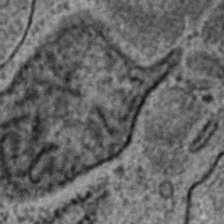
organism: C. elegans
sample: C. elegans embryo